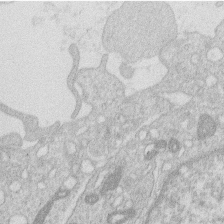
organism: Human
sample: Macrophage cells